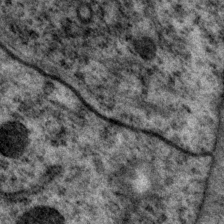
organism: P. pacificus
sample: Pharynx